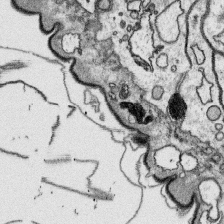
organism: Platynereis dumerilii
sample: Parapodia